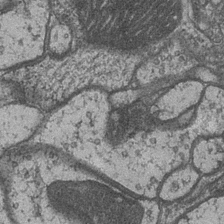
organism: Drosophila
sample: Optic medulla